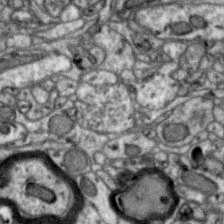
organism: Zebra finch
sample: Brain